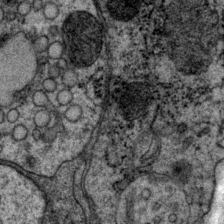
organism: P. pacificus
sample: Pharynx